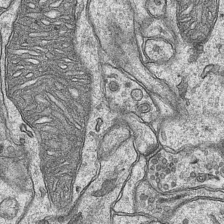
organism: Mouse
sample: CA1 Hippocampus